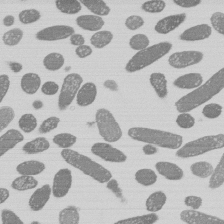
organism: E. coli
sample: Bacterial nucleoid